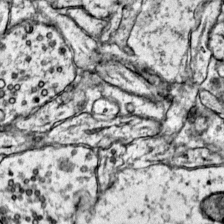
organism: Mouse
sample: Primary visual cortex